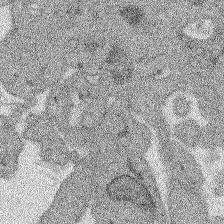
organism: Human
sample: HeLa cells